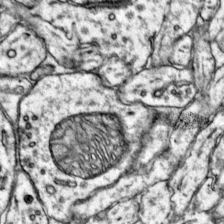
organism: Mouse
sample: Primary visual cortex